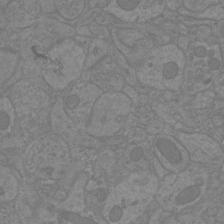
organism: Mouse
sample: Cortical neurons